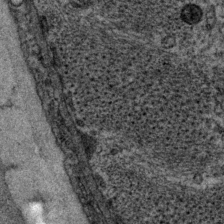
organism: P. pacificus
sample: Pharynx